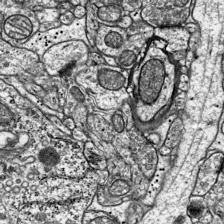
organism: Mouse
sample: Visual Cortex